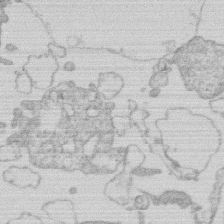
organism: Human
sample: Macrophage cells